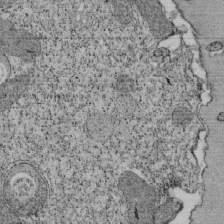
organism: Tetrahymena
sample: Cilia in tetrahymena